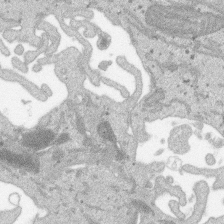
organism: Human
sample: Lung epithelial cells infected with SARS-CoV-2